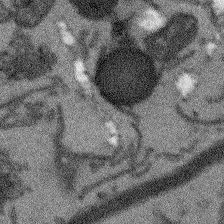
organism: Arabidopsis thaliana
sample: Root tip